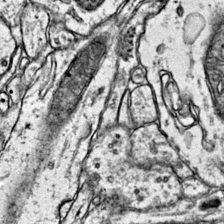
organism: Mouse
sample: Primary visual cortex